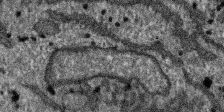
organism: Human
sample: Lung epithelial cells infected with SARS-CoV-2